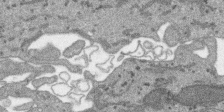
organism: Human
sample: Lung epithelial cells infected with SARS-CoV-2